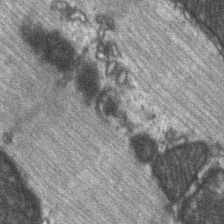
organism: C57BL Mouse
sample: Soleus